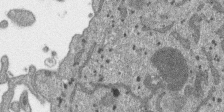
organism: Human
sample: Lung epithelial cells infected with SARS-CoV-2